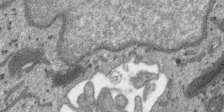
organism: Human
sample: Lung epithelial cells infected with SARS-CoV-2